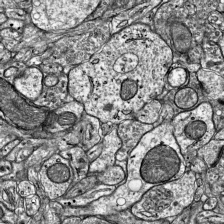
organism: Mouse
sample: Visual Cortex